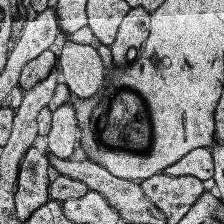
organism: Human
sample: Temporal Lobe